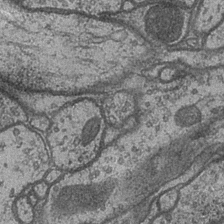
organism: Drosophila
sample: Optic medulla